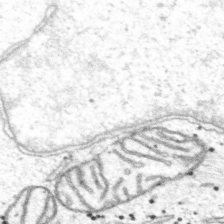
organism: Human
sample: HeLa cells